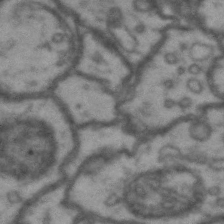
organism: Drosophila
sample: Brain